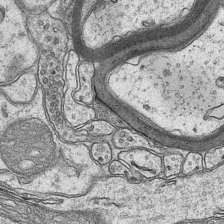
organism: Mouse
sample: CA1 Hippocampus